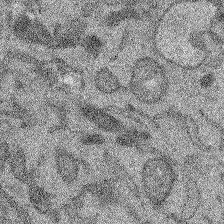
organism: Human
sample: HeLa cells